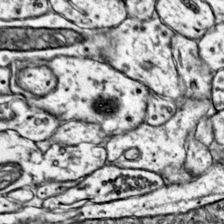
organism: Mouse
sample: Primary visual cortex